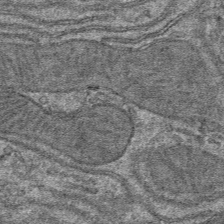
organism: Mouse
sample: Mouse hepatocytes